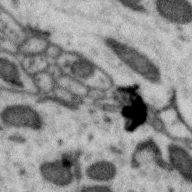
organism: Zebra finch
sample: Brain